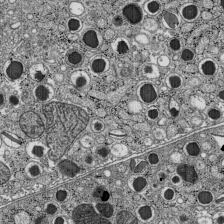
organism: C57BL Mouse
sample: Pancreatic islet